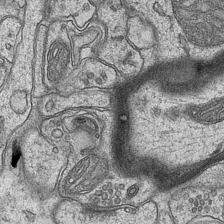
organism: Mouse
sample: CA1 Hippocampus